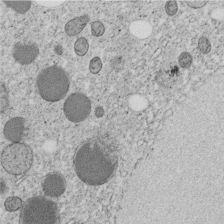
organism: C. elegans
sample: C. elegans embryo early stage